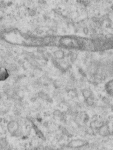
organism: Human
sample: Centriole in RPE cells